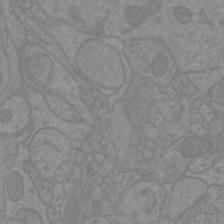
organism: Mouse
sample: Cortical neurons